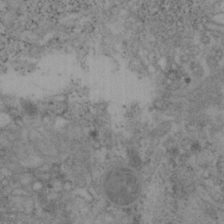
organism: Mouse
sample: OT-I killer T cells with ID8 ovarian cancer cells